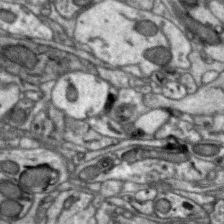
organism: Zebra finch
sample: Brain